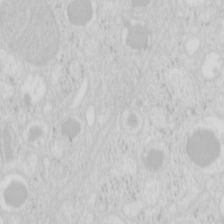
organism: Mouse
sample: Pancreas